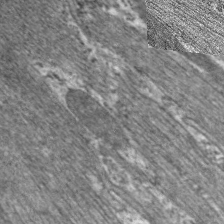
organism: C. elegans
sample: Pharynx